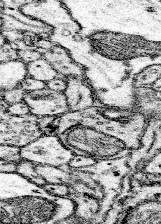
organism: Mouse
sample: Somatosensory cortex neuropil